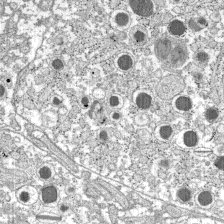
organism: C57BL Mouse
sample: Pancreatic islet